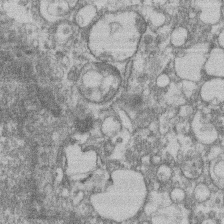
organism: Mouse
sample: T cell stromal cell synapse